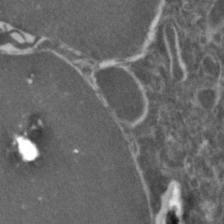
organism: Zebrafish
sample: Zebrafish embryo